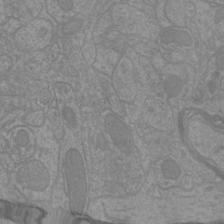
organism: Mouse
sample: Cortical neurons